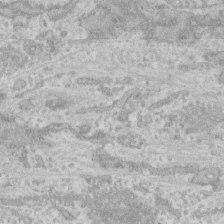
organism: Human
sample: CRL-1474